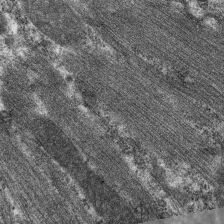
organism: C. elegans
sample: Pharynx